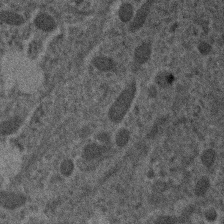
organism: Human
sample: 1205lu cells